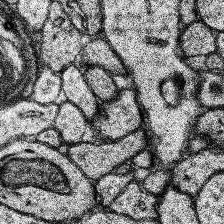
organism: Human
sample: Temporal Lobe